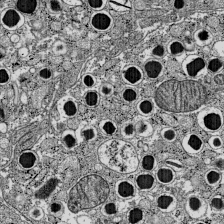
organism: C57BL Mouse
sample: Pancreatic islet